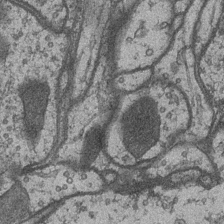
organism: Drosophila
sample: Optic medulla